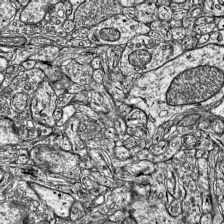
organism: Mouse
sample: Visual Cortex